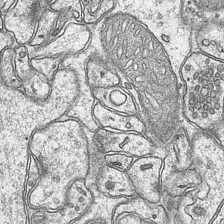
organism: Mouse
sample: CA1 Hippocampus